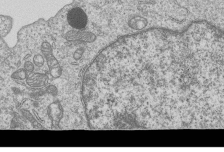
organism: Human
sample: MDA-MB-231 cells